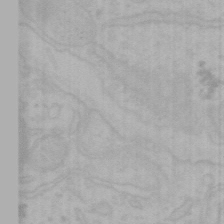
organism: Mouse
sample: Choroid plexus